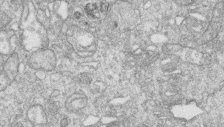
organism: Human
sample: HeLa cell HIV synapse